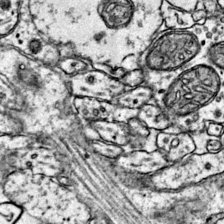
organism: Mouse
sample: Primary visual cortex